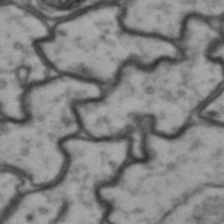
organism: Drosophila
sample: Brain